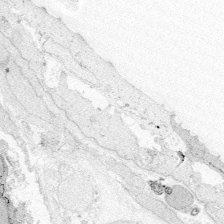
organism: Zebrafish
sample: Whole-Brain